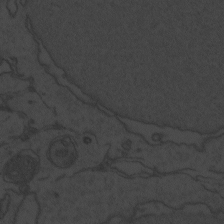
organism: Zebrafish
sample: Macrophage infected with Toxoplasma gondii